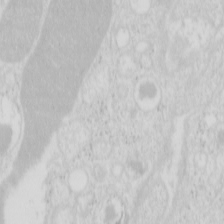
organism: Mouse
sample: Pancreas